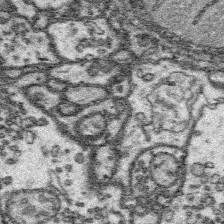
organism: Platynereis dumerilii